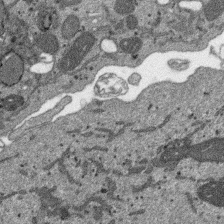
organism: Human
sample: Lung epithelial cells infected with SARS-CoV-2